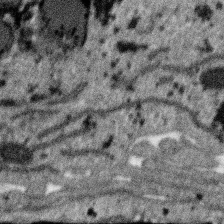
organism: Human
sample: Lung epithelial cells infected with SARS-CoV-2